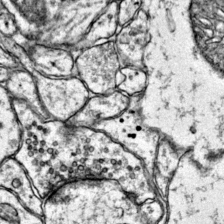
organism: Mouse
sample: Primary visual cortex